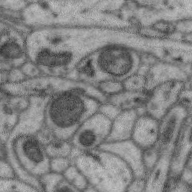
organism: Zebra finch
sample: Brain